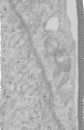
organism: Human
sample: Centriole in RPE cells